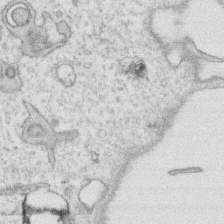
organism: Human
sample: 1205lu cells